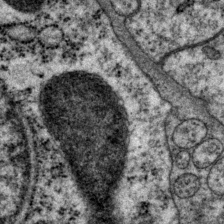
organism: P. pacificus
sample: Pharynx